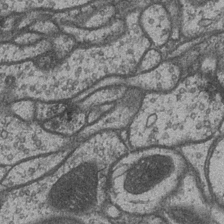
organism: Drosophila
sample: Optic medulla